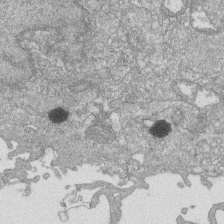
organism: Human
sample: HeLa cell HIV synapse